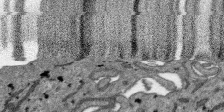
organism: Human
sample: Lung epithelial cells, uninfected (mock) control